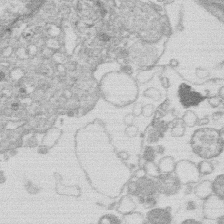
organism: Human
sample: Macrophage cells